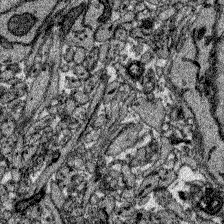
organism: Zebrafish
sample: Larval olfactory bulb